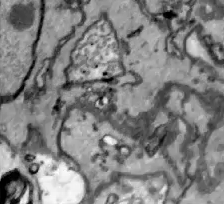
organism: Zebrafish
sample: Actinotrichia fibers